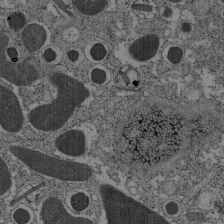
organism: C57BL Mouse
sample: Pancreatic islet